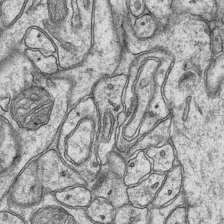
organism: Mouse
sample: CA1 Hippocampus